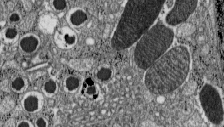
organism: C57BL Mouse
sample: Pancreatic islet